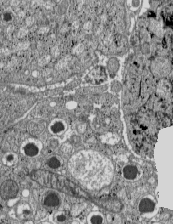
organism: C57BL Mouse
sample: Pancreatic islet